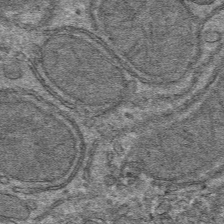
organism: Mouse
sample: Mouse hepatocytes